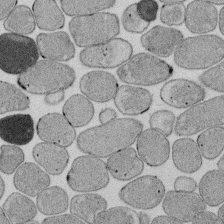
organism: E. coli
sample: Bacterial nucleoid